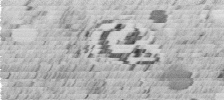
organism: C. elegans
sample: C. elegans embryo early stage